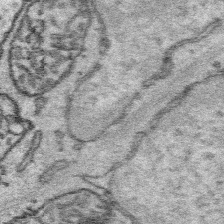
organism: Platynereis dumerilii